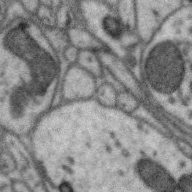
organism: Zebra finch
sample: Brain